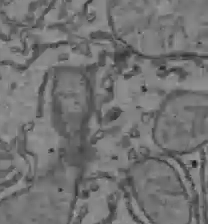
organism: C57BL Mouse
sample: Liver